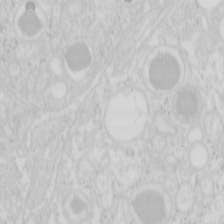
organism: Mouse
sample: Pancreas